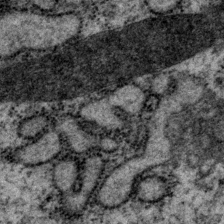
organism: P. pacificus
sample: Pharynx